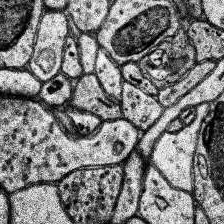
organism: Human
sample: Temporal Lobe